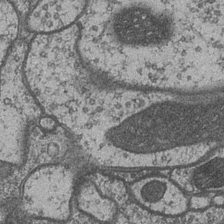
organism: Drosophila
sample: Optic medulla